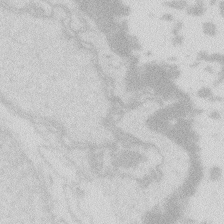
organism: Zebrafish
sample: Macrophage